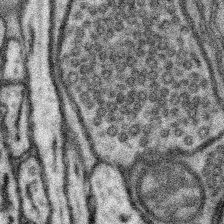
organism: Mouse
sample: Somatosensory cortex neuropil